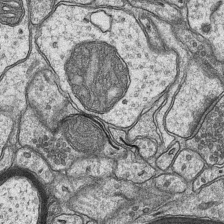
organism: Mouse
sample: CA1 Hippocampus